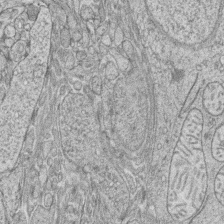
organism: Zebrafish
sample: synaptic ribbons in rod cells and cone cells